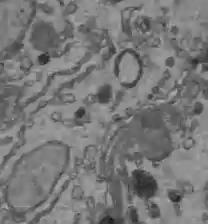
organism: C57BL Mouse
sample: Liver